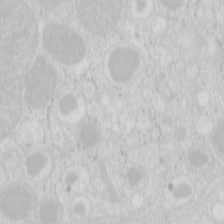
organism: Mouse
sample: Pancreas